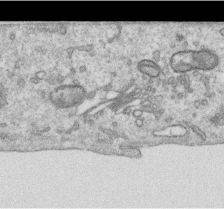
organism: Human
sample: Centriole in RPE cells